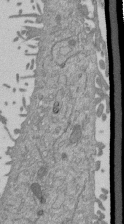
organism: Mouse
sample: ED-1 cell nuclei; centrioles